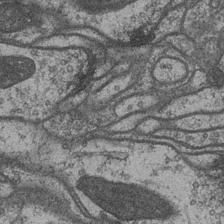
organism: Drosophila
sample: Optic medulla